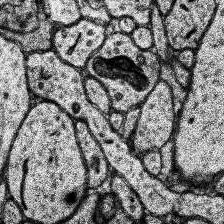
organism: Human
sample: Temporal Lobe